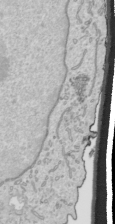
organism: Human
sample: Mitochondria in HCT116 cells